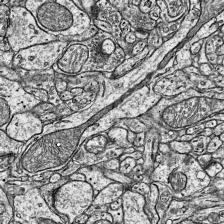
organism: Mouse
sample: Visual Cortex